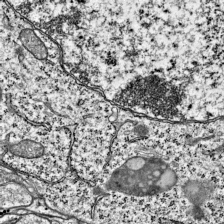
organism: Mouse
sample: Visual Cortex